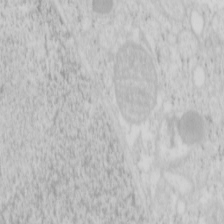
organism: Mouse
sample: Pancreas